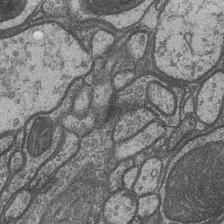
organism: Drosophila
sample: Optic medulla